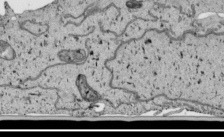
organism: Human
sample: Mitochondria in HCT116 cells